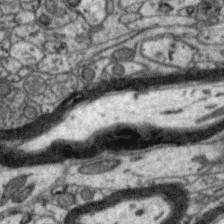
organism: Zebra finch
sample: Brain